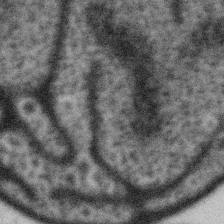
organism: Gemmata obscuriglobus